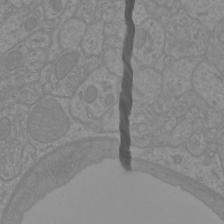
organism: Mouse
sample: Cortical neurons